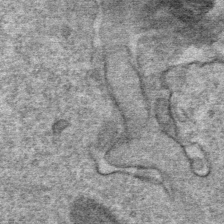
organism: Mouse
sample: Mouse Salivary gland